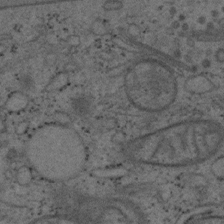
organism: Human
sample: HeLa cells